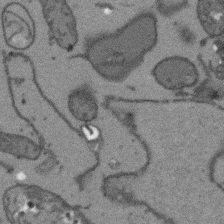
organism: Arabidopsis thaliana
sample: Root tip